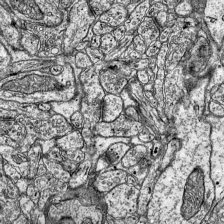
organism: Mouse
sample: Visual Cortex